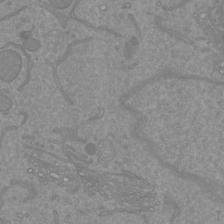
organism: Mouse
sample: Cortical neurons